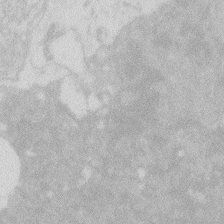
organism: Zebrafish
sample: Macrophage